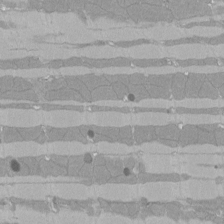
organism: Rat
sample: Left ventricle